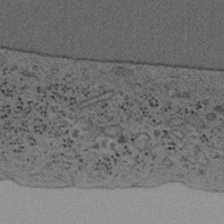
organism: Human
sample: HeLa cells